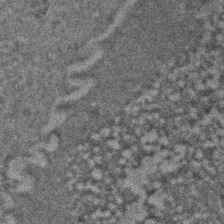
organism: Zebrafish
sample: Zebrafish embryo